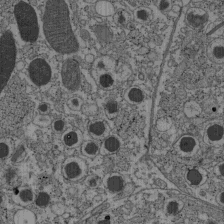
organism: C57BL Mouse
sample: Pancreatic islet